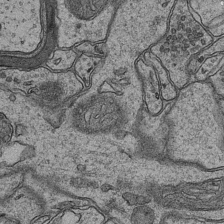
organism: Mouse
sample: CA1 Hippocampus